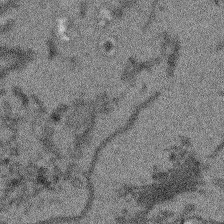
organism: Arabidopsis thaliana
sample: Root tip